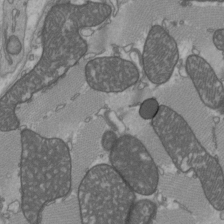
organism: C57BL Mouse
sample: Heart